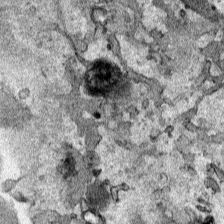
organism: Human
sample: Mitochondria in HCT116 cells